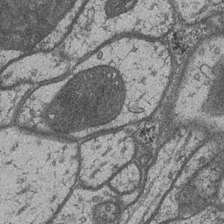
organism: Drosophila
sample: Optic medulla